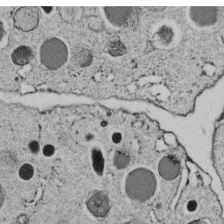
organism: C. elegans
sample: C. elegans embryo early stage